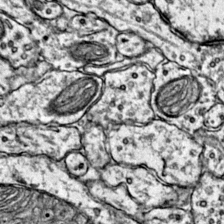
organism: Mouse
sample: Primary visual cortex